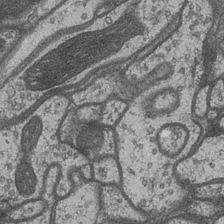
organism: Drosophila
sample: Optic medulla